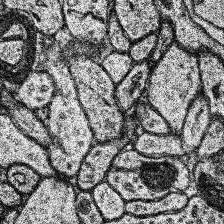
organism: Human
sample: Temporal Lobe